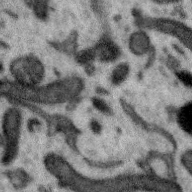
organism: Zebra finch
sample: Brain